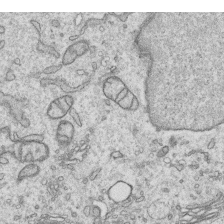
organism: Human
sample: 1205lu cells